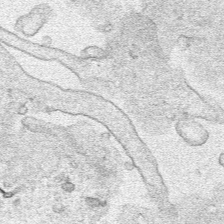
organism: Human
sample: Mitochondria in HCT116 cells